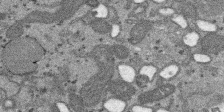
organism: Human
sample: Lung epithelial cells infected with SARS-CoV-2